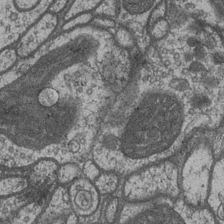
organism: Drosophila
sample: Optic medulla